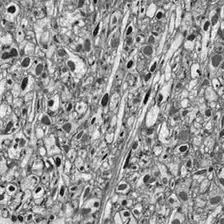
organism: Drosophila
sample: Optic lobe